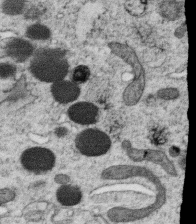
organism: C. elegans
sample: C. elegans oocyte; sperm cells